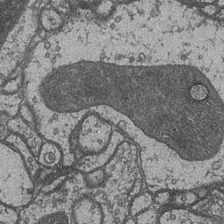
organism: Drosophila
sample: Optic medulla